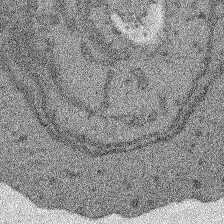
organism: Human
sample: HeLa cells